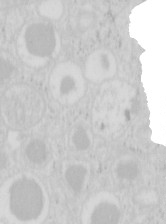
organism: Mouse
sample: Pancreas